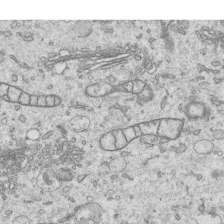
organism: Human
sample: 1205lu cells